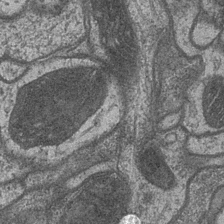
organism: Drosophila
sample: Optic medulla